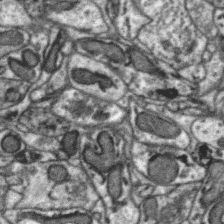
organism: Zebra finch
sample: Brain